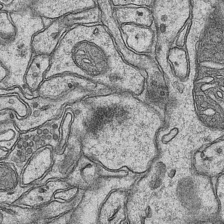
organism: Mouse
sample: CA1 Hippocampus